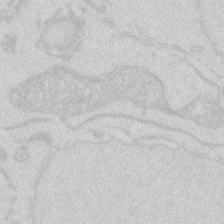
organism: Zebrafish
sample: Macrophage